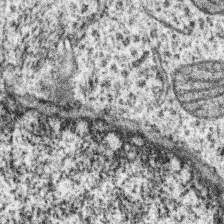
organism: Human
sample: HeLa cells